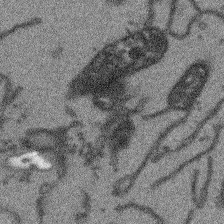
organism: Arabidopsis thaliana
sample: Root tip